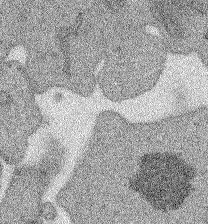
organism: Human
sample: HeLa cells